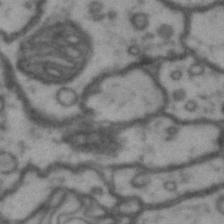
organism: Drosophila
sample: Brain